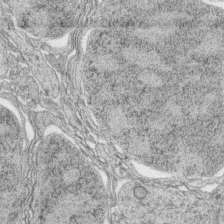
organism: Zebrafish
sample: synaptic ribbons in rod cells and cone cells